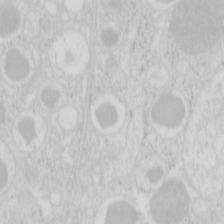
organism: Mouse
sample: Pancreas